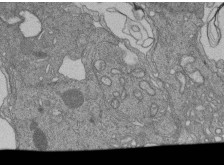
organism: Human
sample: Retinal organoid Rod and Cone cells